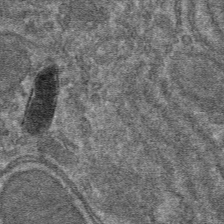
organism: Mouse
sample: Mouse hepatocytes